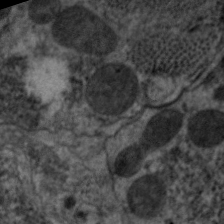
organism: C. elegans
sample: Pharynx